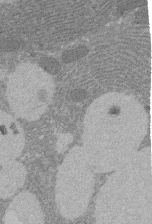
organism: Rat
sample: Salivary granule